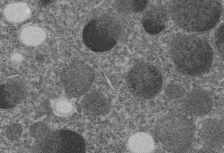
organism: C. elegans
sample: C. elegans embryo early stage